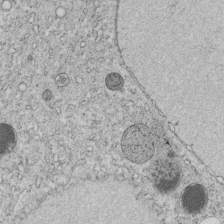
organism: C. elegans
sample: C. elegans embryo early stage